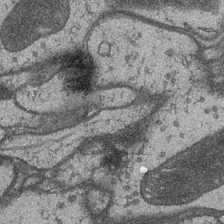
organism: Drosophila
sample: Optic medulla